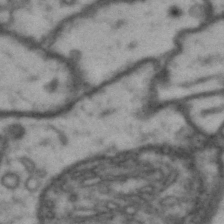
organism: Drosophila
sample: Brain